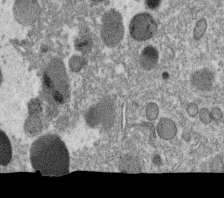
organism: C. elegans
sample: C. elegans oocyte; sperm cells